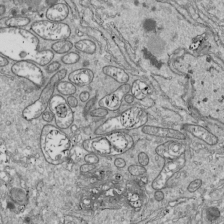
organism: Drosophila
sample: Cell division; meiosis; drosophila spermatocytes